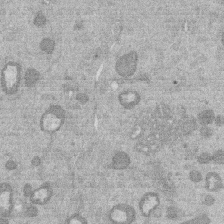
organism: Mouse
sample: Dividing mouse embryo 1 cell stage